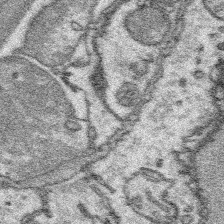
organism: Platynereis dumerilii